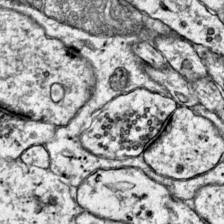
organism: Mouse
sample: Primary visual cortex